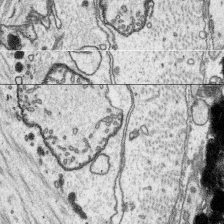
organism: Platynereis dumerilii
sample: Parapodia